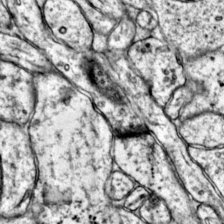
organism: Mouse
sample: Primary visual cortex